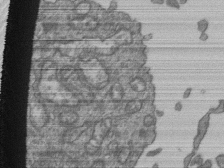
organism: Human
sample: Retinal organoid Rod and Cone cells